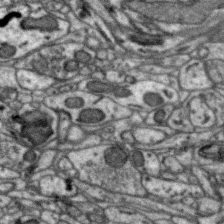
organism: Zebra finch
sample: Brain